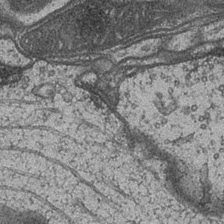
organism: Drosophila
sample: Optic medulla